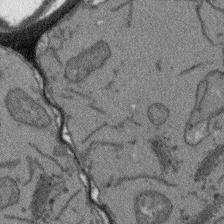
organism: Arabidopsis thaliana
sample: Root tip